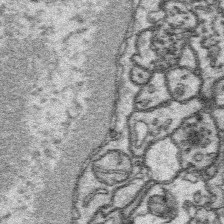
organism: Platynereis dumerilii